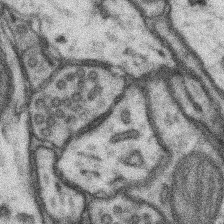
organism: Mouse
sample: Somatosensory cortex neuropil